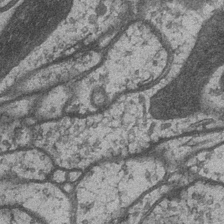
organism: Drosophila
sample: Optic medulla